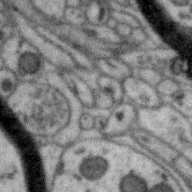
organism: Zebra finch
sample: Brain